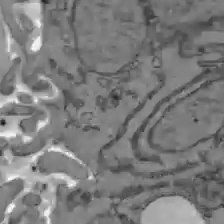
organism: C57BL Mouse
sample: Liver